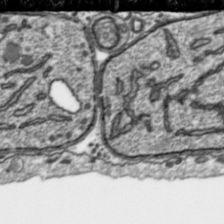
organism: Toxoplasma gondii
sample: Parasites in a vacuole inside a host cell